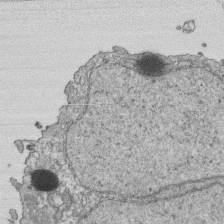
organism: Human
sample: HeLa cell HIV synapse